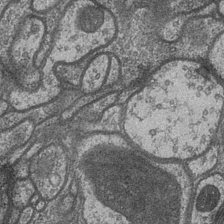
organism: Drosophila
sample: Optic medulla